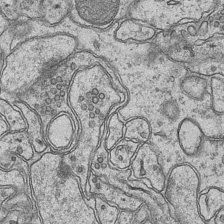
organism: Mouse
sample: CA1 Hippocampus